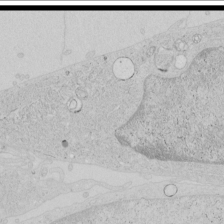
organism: Human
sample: Mitochondria in HCT116 cells